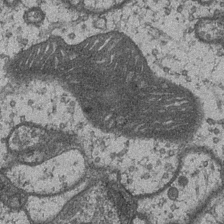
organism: Drosophila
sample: Optic medulla